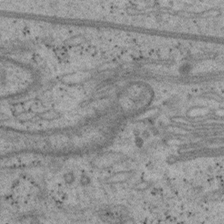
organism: Human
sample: HeLa cells